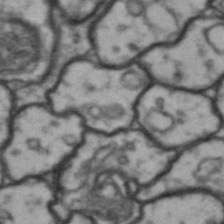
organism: Drosophila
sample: Brain